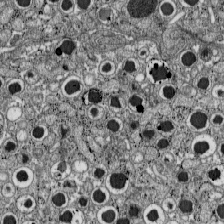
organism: C57BL Mouse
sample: Pancreatic islet